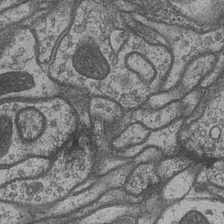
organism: Drosophila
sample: Optic medulla